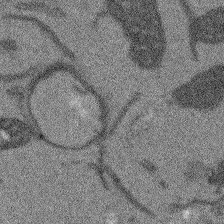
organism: Arabidopsis thaliana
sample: Root tip